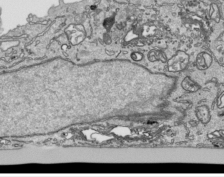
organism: Human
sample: Mitochondria in HCT116 cells